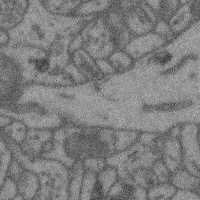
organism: Mouse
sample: Cerebral cortex